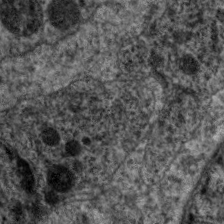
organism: C. elegans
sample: Pharynx